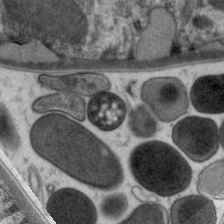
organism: C. elegans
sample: Pharynx